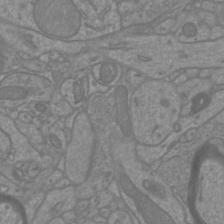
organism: Mouse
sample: Cortical neurons